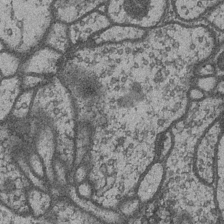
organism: Drosophila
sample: Optic medulla